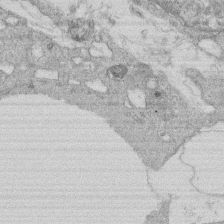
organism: Human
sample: Macrophage cells